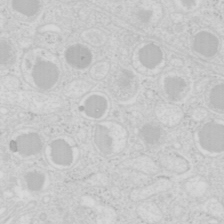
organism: Mouse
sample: Pancreas